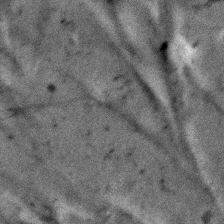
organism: Human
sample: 1205lu cells